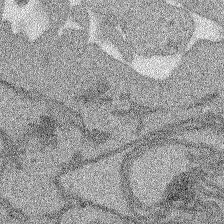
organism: Human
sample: HeLa cells